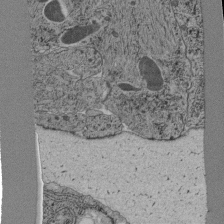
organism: C. elegans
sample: C. elegans pharynx